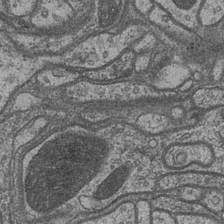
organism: Drosophila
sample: Optic medulla